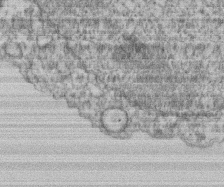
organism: Mouse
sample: T cell stromal cell synapse